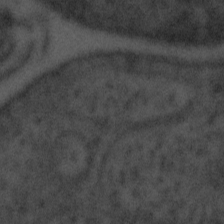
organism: Tuwongella immobilis